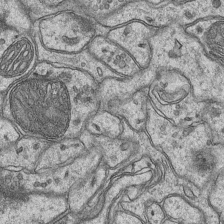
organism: Mouse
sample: CA1 Hippocampus